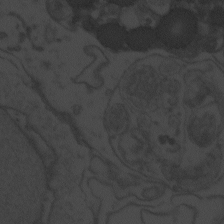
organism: Zebrafish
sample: Macrophage infected with Toxoplasma gondii